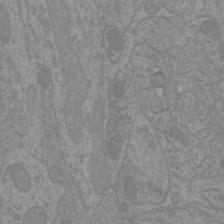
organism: Mouse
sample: Cortical neurons